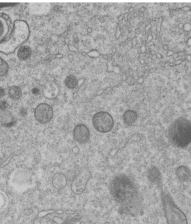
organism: C. elegans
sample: C. elegans embryo early stage